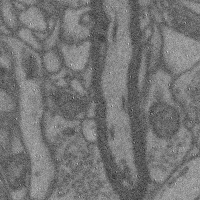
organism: Mouse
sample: Cerebral cortex